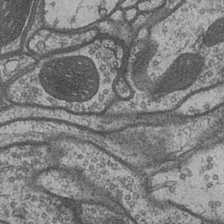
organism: Drosophila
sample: Optic medulla